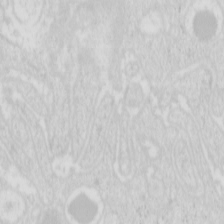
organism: Mouse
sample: Pancreas